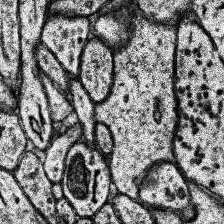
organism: Human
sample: Temporal Lobe